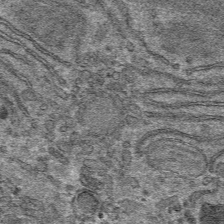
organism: Mouse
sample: Mouse hepatocytes